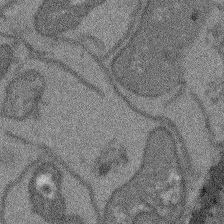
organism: Arabidopsis thaliana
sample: Root tip